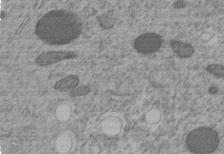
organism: C. elegans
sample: C. elegans embryo early stage